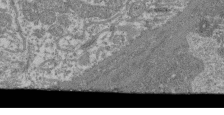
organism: Mouse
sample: Glomerulus